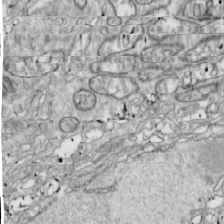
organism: Drosophila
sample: Cell division; meiosis; drosophila spermatocytes